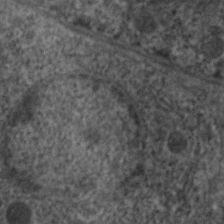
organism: C. elegans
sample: Pharynx